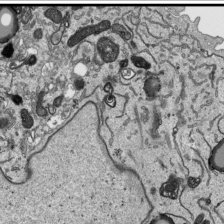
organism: Human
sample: Mitochondria in HCT116 cells